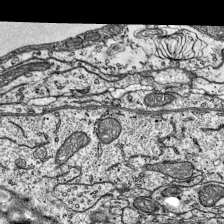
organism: Mouse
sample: Visual Cortex